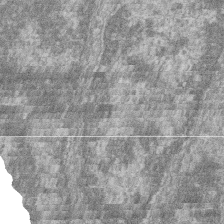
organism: Zebrafish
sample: Cilia; retinal pigment epithelium